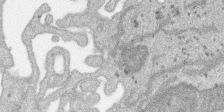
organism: Human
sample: Lung epithelial cells infected with SARS-CoV-2